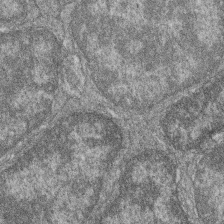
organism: Zebrafish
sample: Cilia; retinal pigment epithelium